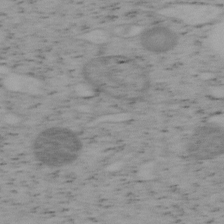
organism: Mouse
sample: OT-I killer T cells with ID8 ovarian cancer cells